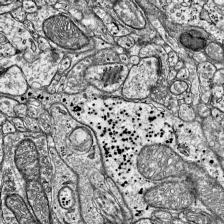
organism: Mouse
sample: Visual Cortex